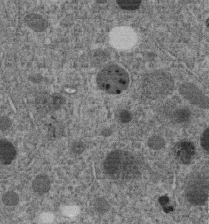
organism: C. elegans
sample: C. elegans embryo early stage